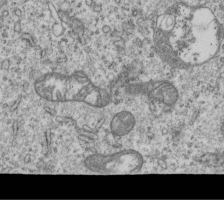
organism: Human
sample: MDA-MB-231 cells